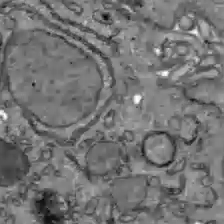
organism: C57BL Mouse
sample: Liver